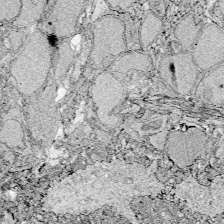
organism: Zebrafish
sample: Whole-Brain